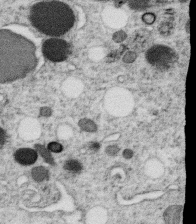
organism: C. elegans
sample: C. elegans oocyte; sperm cells